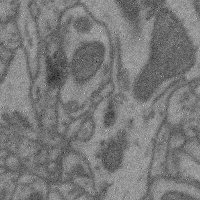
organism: Mouse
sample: Cerebral cortex